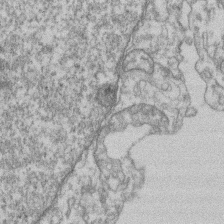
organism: Mouse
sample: T cell stromal cell synapse